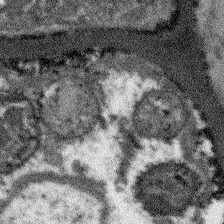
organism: Arabidopsis thaliana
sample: Root tip